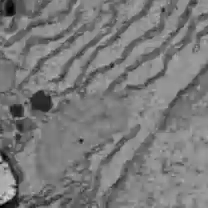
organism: C57BL Mouse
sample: Liver